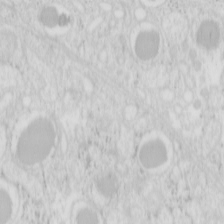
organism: Mouse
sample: Pancreas